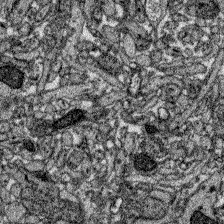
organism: Zebrafish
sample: Larval olfactory bulb